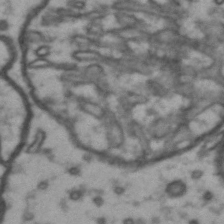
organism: Drosophila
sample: Brain